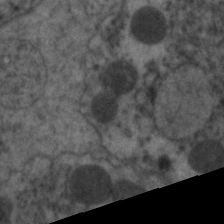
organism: C. elegans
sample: Pharynx